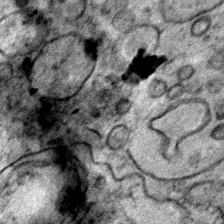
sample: Trachea